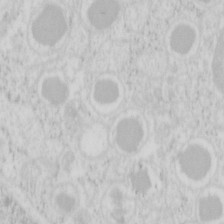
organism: Mouse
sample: Pancreas